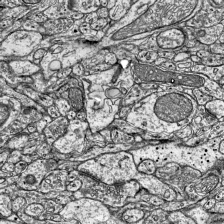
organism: Mouse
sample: Visual Cortex